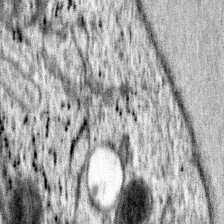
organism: Human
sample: HeLa cells